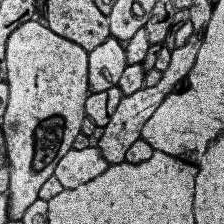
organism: Human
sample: Temporal Lobe